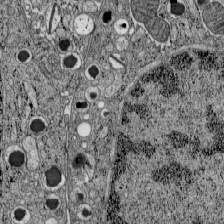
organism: C57BL Mouse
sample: Pancreatic islet